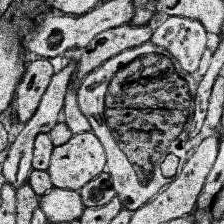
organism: Human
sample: Temporal Lobe